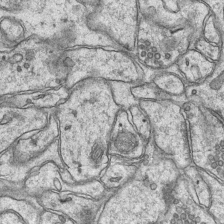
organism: Mouse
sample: CA1 Hippocampus